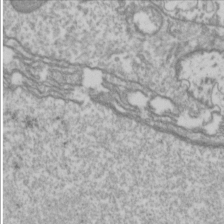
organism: Drosophila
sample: Cell division; meiosis; drosophila spermatocytes